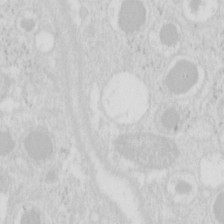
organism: Mouse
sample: Pancreas